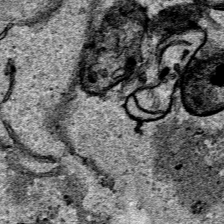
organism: Human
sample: Mitochondria in HCT116 cells